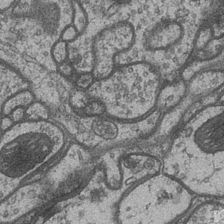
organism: Drosophila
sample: Optic medulla